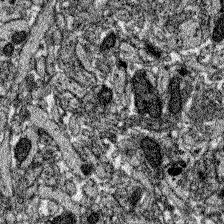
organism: Zebrafish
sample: Larval olfactory bulb